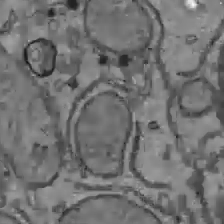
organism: C57BL Mouse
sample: Liver